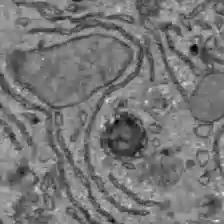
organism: C57BL Mouse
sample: Liver